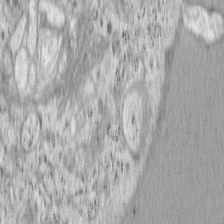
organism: Human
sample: HeLa cells